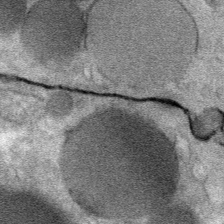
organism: Mouse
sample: Mouse Salivary gland